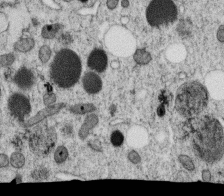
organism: C. elegans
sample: C. elegans oocyte; sperm cells